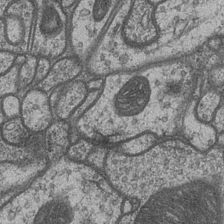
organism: Drosophila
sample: Optic medulla